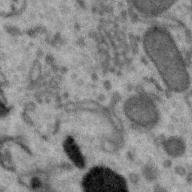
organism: Zebra finch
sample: Brain